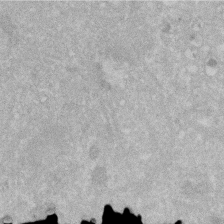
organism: Human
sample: HIV infected U937 cells